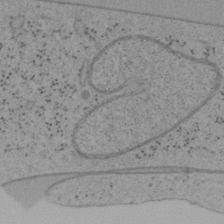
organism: Human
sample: HeLa cells